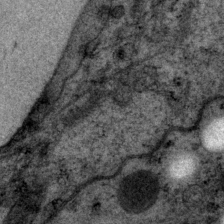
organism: P. pacificus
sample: Pharynx